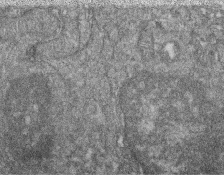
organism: Zebrafish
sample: Cilia; retinal pigment epithelium